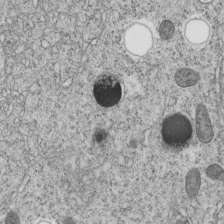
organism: C. elegans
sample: C. elegans embryo early stage